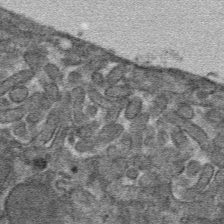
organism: Mouse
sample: Mouse hepatocytes